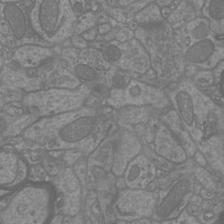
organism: Mouse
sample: Cortical neurons